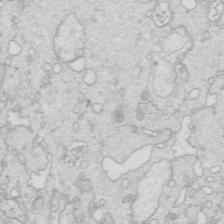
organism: Mouse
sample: Multiciliated cells